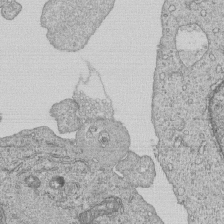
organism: Human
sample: MDA-MB-231 cells